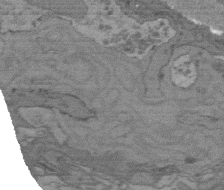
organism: C. elegans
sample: AFD neurons C. elegans